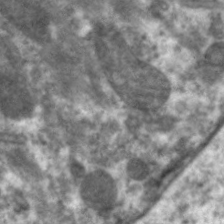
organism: C. elegans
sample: Pharynx